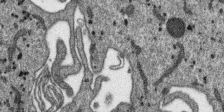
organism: Human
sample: Lung epithelial cells infected with SARS-CoV-2